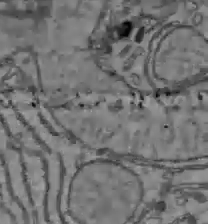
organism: C57BL Mouse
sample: Liver